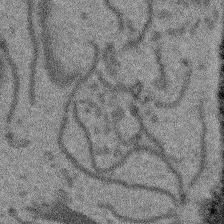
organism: Arabidopsis thaliana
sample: Root tip